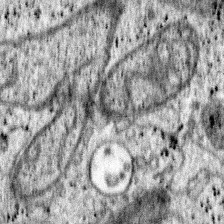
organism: Human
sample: HeLa cells